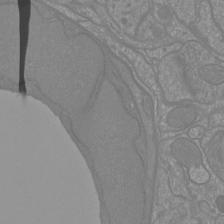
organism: Mouse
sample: Cortical neurons